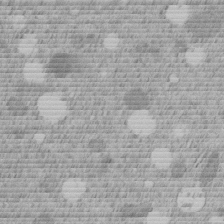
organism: C. elegans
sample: C. elegans embryo early stage